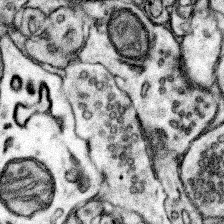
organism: Mouse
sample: Somatosensory cortex neuropil